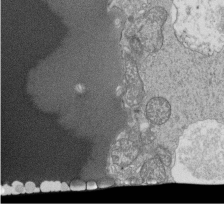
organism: Tetrahymena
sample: Cilia in tetrahymena